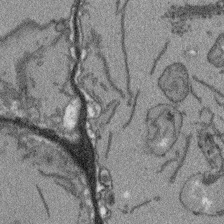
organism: Arabidopsis thaliana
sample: Root tip